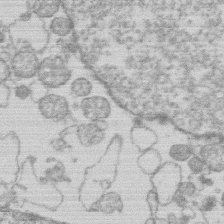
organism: Human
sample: Macrophage cells